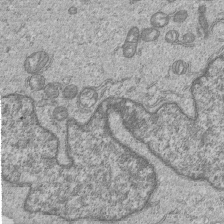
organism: Human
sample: MDA-MB-231 cells